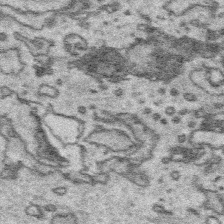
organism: Platynereis dumerilii